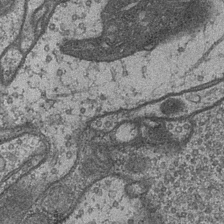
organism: Drosophila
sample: Optic medulla